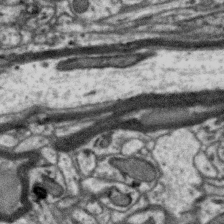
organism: Zebra finch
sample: Brain